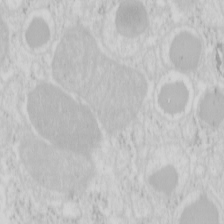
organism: Mouse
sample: Pancreas